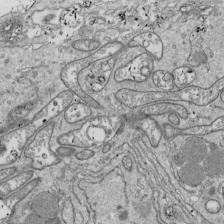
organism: Drosophila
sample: Cell division; meiosis; drosophila spermatocytes